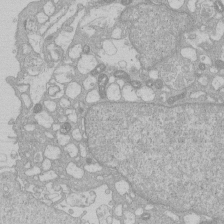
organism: Human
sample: Macrophage cells